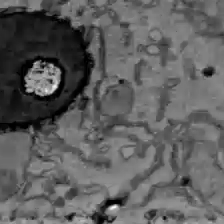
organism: C57BL Mouse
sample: Liver